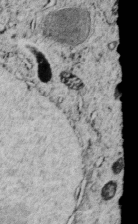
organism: C. elegans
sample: C. elegans embryo early stage